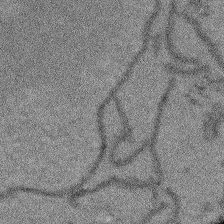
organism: Arabidopsis thaliana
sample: Root tip